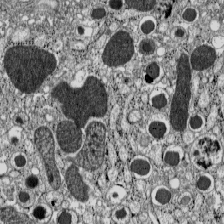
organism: C57BL Mouse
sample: Pancreatic islet